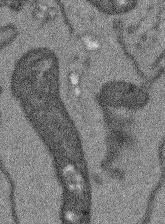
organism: Arabidopsis thaliana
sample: Root tip